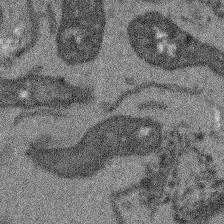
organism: Arabidopsis thaliana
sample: Root tip